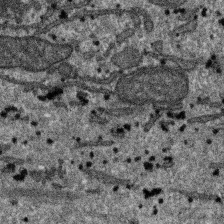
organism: Human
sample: Lung epithelial cells infected with SARS-CoV-2